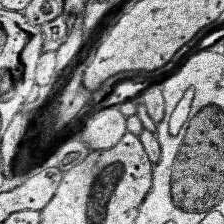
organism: Human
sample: Temporal Lobe